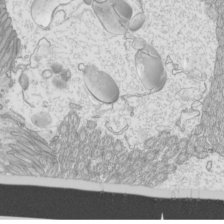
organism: Mouse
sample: Cilia; mouse epididymis